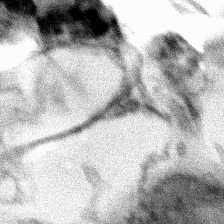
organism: Human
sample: Mitochondria in HCT116 cells